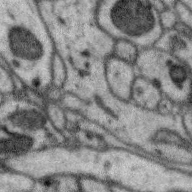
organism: Zebra finch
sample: Brain